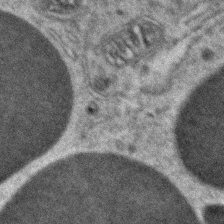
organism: Zebrafish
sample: Zebrafish embryo